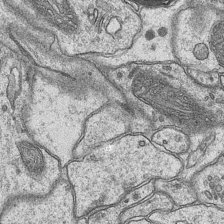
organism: Mouse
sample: CA1 Hippocampus